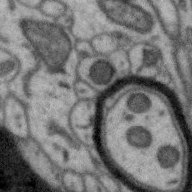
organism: Zebra finch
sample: Brain